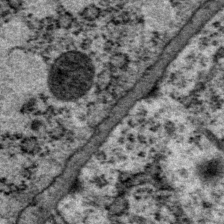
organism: P. pacificus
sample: Pharynx